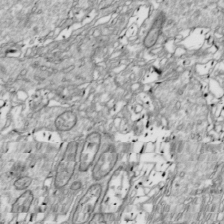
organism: Drosophila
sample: Cell division; meiosis; drosophila spermatocytes